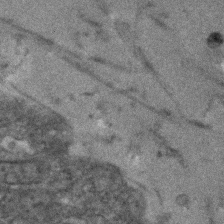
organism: Human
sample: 1205lu cells